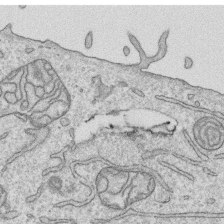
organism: Human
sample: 1205lu cells